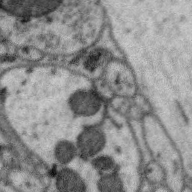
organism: Zebra finch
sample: Brain